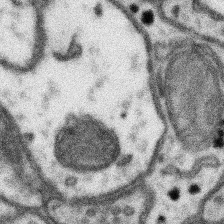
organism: Mouse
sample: Somatosensory cortex neuropil